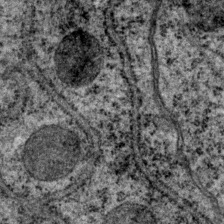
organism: P. pacificus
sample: Pharynx